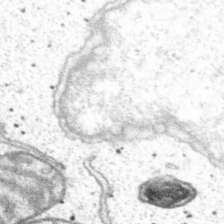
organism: Human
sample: HeLa cells